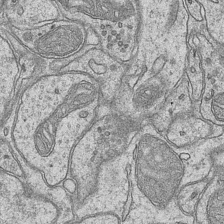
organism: Mouse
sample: CA1 Hippocampus